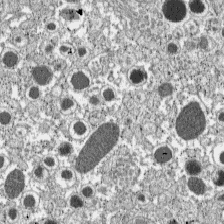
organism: C57BL Mouse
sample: Pancreatic islet